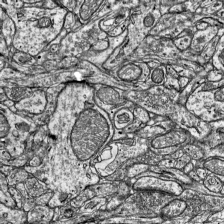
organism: Mouse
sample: Visual Cortex